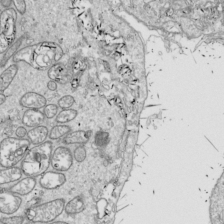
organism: Drosophila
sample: Cell division; meiosis; drosophila spermatocytes